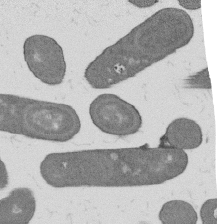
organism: B. subtilis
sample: Bacterial spore